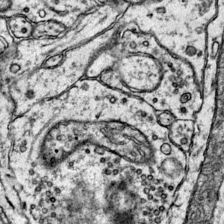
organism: Mouse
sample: Primary visual cortex